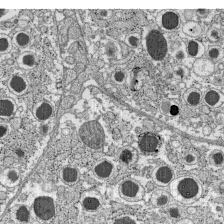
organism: C57BL Mouse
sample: Pancreatic islet